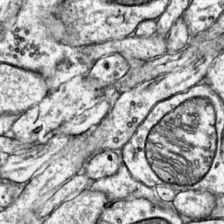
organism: Mouse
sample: Primary visual cortex